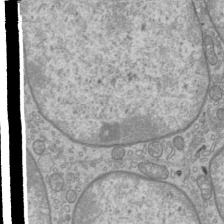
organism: Mouse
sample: Cilia; mouse epididymis